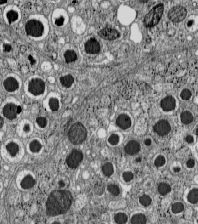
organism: C57BL Mouse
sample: Pancreatic islet